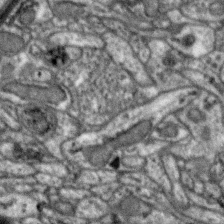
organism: Zebra finch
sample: Brain